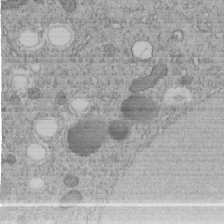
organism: C. elegans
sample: C. elegans embryo early stage